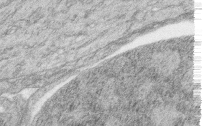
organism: Zebrafish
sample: synaptic ribbons in rod cells and cone cells